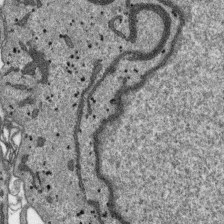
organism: Human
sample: Lung epithelial cells, uninfected (mock) control